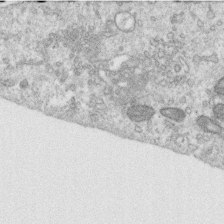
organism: Human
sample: Centriole in RPE cells